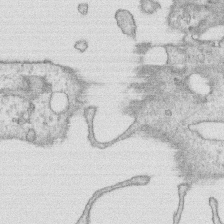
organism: Human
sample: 1205lu cells